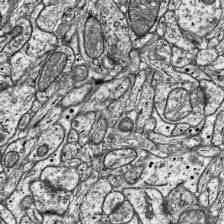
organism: Mouse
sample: Visual Cortex